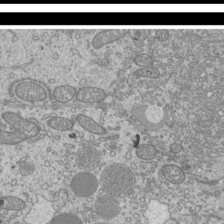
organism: Mouse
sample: Cilia; mouse epididymis